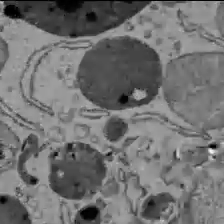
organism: C57BL Mouse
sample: Liver